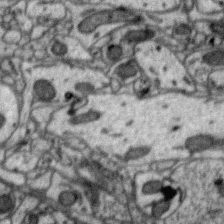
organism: Zebra finch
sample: Brain